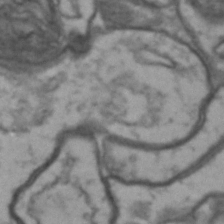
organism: Drosophila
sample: Brain